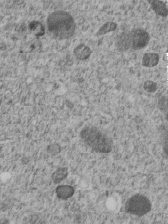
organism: C. elegans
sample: C. elegans embryo early stage